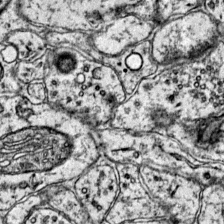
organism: Mouse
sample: Primary visual cortex